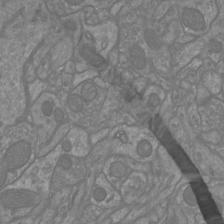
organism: Mouse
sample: Cortical neurons